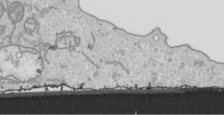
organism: Human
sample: Mitochondria in HCT116 cells